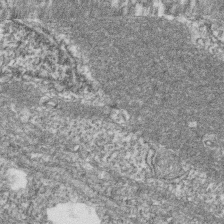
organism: Zebrafish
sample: Cilia; retinal pigment epithelium